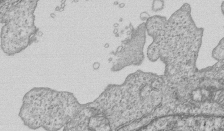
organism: Human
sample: MDA-MB-231 cells